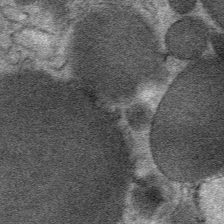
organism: Mouse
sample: Mouse Salivary gland